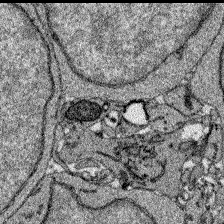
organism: Zebrafish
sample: Larval olfactory bulb